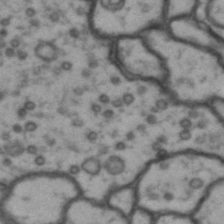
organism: Drosophila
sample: Brain